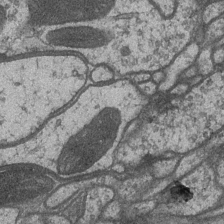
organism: Drosophila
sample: Optic medulla